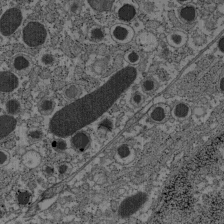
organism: C57BL Mouse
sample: Pancreatic islet